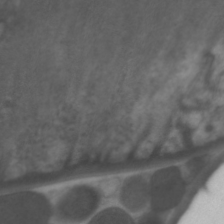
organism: C. elegans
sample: Pharynx